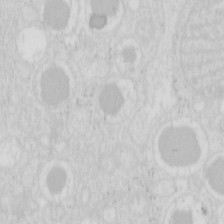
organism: Mouse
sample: Pancreas